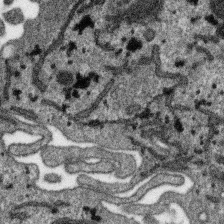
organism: Human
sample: Lung epithelial cells infected with SARS-CoV-2